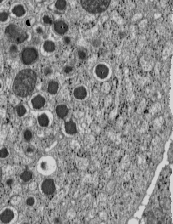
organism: C57BL Mouse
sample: Pancreatic islet